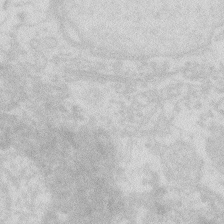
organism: Zebrafish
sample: Macrophage